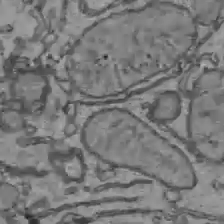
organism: C57BL Mouse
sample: Liver